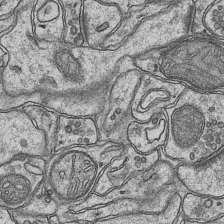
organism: Mouse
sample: CA1 Hippocampus